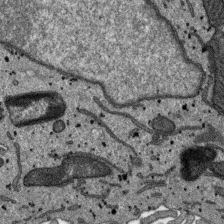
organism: Human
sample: Lung epithelial cells, uninfected (mock) control